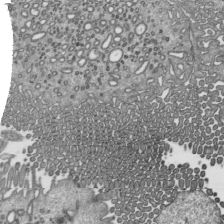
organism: Mouse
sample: Mouse epididymis efferent ductule cilia